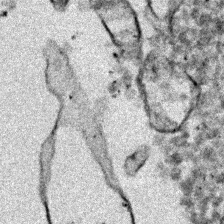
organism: Zebrafish